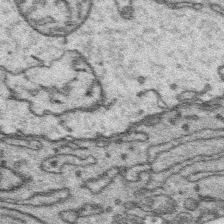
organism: Platynereis dumerilii